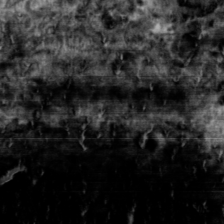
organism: Toxoplasma gondii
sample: Parasites in a vacuole inside a host cell